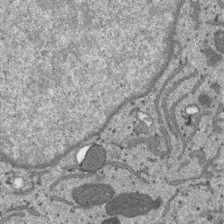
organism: Human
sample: Lung epithelial cells infected with SARS-CoV-2